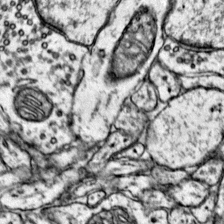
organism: Mouse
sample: Primary visual cortex